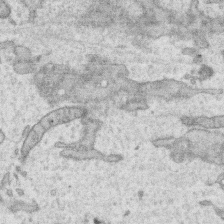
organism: Human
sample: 1205lu cells